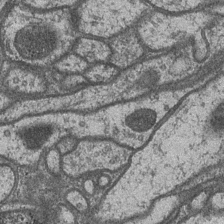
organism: Drosophila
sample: Optic medulla